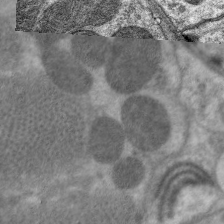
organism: C. elegans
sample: Pharynx